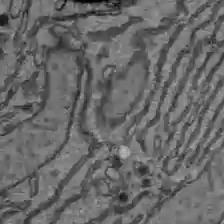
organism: C57BL Mouse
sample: Liver